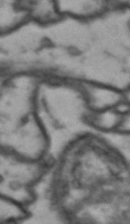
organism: Drosophila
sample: Brain